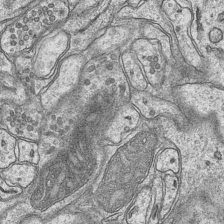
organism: Mouse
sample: CA1 Hippocampus